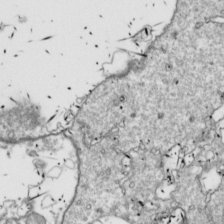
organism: Drosophila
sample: Cell division; meiosis; drosophila spermatocytes